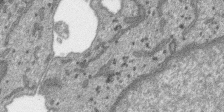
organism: Human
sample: Lung epithelial cells infected with SARS-CoV-2